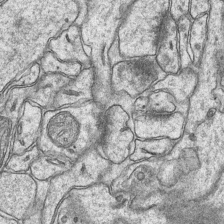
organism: Mouse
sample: CA1 Hippocampus